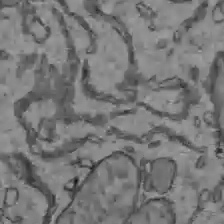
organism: C57BL Mouse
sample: Liver